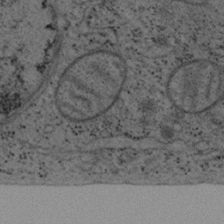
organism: Human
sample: HeLa cells